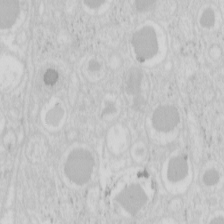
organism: Mouse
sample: Pancreas